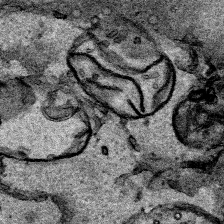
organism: Human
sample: Mitochondria in HCT116 cells